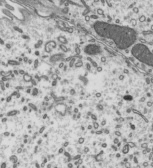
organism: Mouse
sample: Mouse epididymis efferent ductule cilia